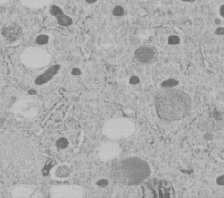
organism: C. elegans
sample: C. elegans embryo early stage